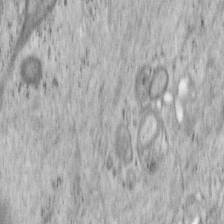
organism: Human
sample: HeLa cells